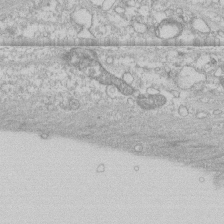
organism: Human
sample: CRL-1474